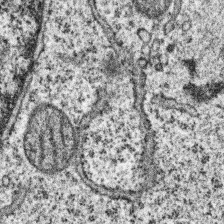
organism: Human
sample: HeLa cells